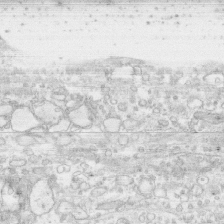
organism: Human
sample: CRL-1474